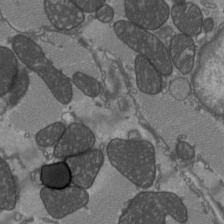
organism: C57BL Mouse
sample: Heart